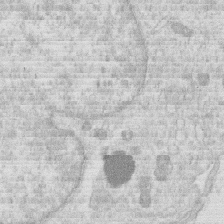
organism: Human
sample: Macrophage cells